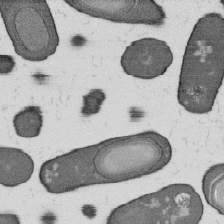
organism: B. subtilis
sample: Bacterial spore